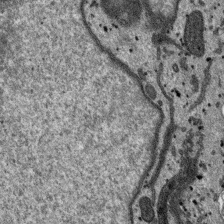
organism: Human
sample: Lung epithelial cells, uninfected (mock) control